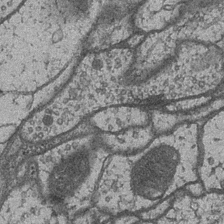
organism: Drosophila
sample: Optic medulla